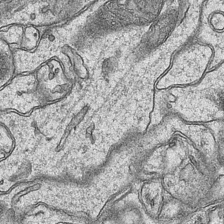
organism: Mouse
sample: CA1 Hippocampus